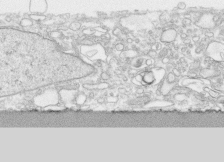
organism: Human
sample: CRL-1474